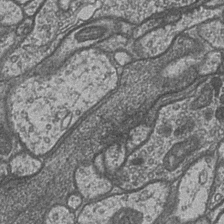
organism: Drosophila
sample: Optic medulla